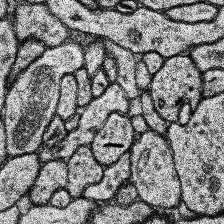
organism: Human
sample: Temporal Lobe